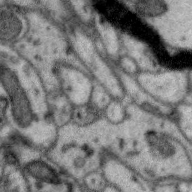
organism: Zebra finch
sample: Brain